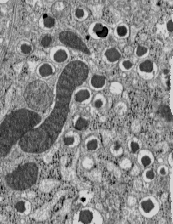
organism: C57BL Mouse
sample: Pancreatic islet